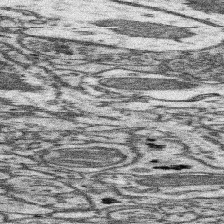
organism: Mouse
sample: Somatosensory cortex neuropil